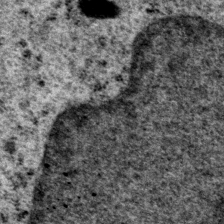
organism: P. pacificus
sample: Pharynx